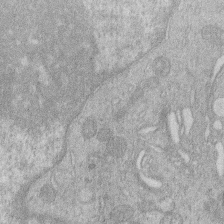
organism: Human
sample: Macrophage cells